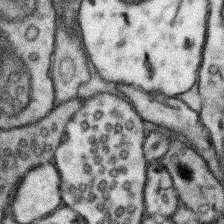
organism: Mouse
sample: Somatosensory cortex neuropil